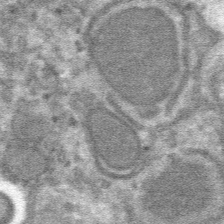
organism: Mouse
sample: Mouse hepatocytes